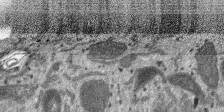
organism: Human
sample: Lung epithelial cells infected with SARS-CoV-2